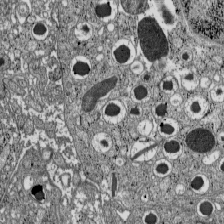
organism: C57BL Mouse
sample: Pancreatic islet